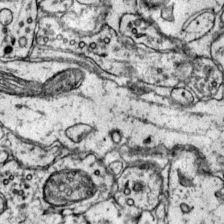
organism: Mouse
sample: Primary visual cortex